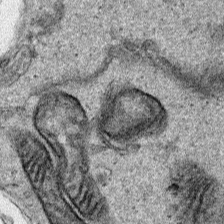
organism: Human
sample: Mitochondria in HCT116 cells